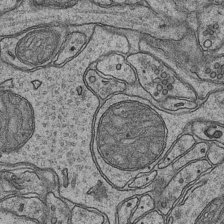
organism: Mouse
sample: CA1 Hippocampus